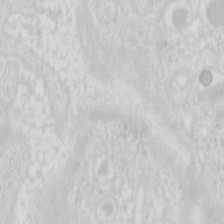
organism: Mouse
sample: Pancreas